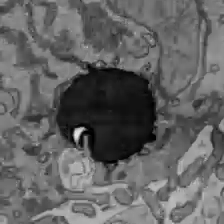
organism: C57BL Mouse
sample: Liver